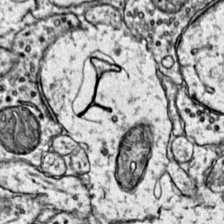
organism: Mouse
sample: Primary visual cortex